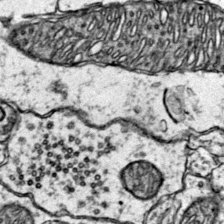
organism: Mouse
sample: Primary visual cortex